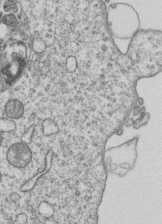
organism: Human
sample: MDA-MB-231 cells